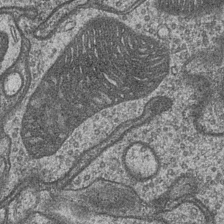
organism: Drosophila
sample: Optic medulla